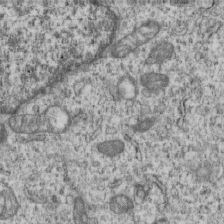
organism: Human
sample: MDA-MB-231 cells